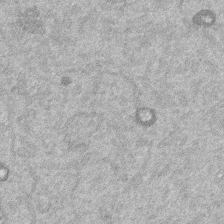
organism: Mouse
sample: Dividing mouse embryo 1 cell stage